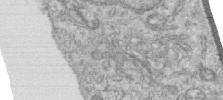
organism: Human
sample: Centriole in RPE cells